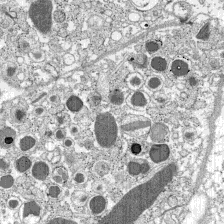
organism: C57BL Mouse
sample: Pancreatic islet